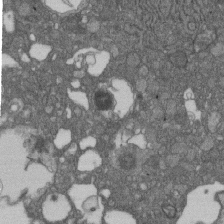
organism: Drosophila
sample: Nephrocyte